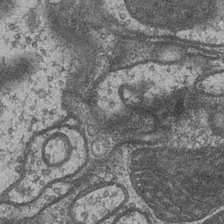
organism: Drosophila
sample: Optic medulla